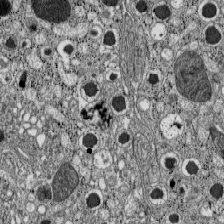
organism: C57BL Mouse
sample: Pancreatic islet